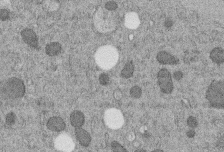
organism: C. elegans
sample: C. elegans embryo early stage